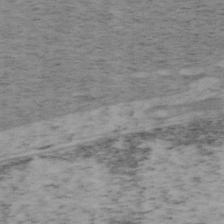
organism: Mouse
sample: OT-I killer T cells with ID8 ovarian cancer cells